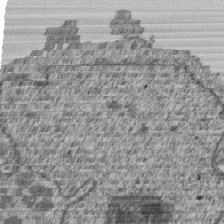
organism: Human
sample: MDA-MB-231 cells